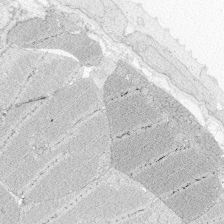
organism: Zebrafish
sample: Whole-Brain